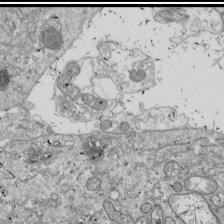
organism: Drosophila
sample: Cell division; meiosis; drosophila spermatocytes